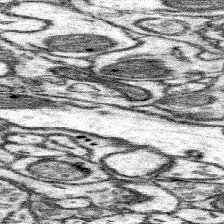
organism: Mouse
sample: Somatosensory cortex neuropil